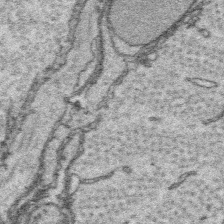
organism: Platynereis dumerilii